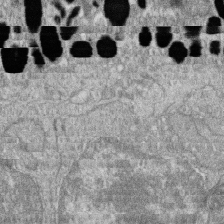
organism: Zebrafish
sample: Cilia; retinal pigment epithelium